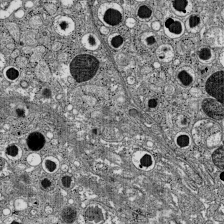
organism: C57BL Mouse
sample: Pancreatic islet